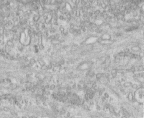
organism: Human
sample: Centriole in fibroblast cells